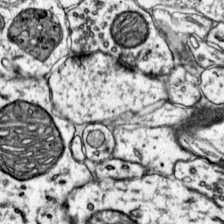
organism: Mouse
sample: Primary visual cortex